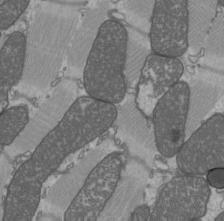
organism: C57BL Mouse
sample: Heart